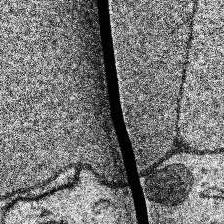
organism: Human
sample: Temporal Lobe